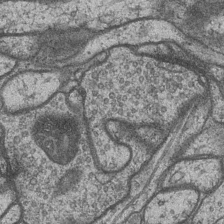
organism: Drosophila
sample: Optic medulla